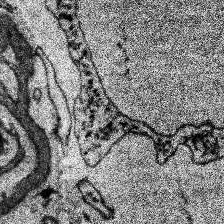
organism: Human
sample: Temporal Lobe